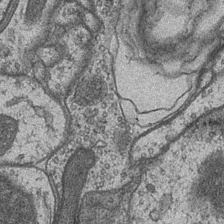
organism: Drosophila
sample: Optic medulla